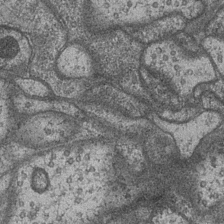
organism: Drosophila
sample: Optic medulla